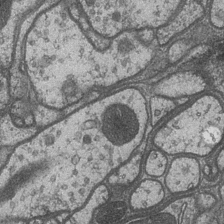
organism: Drosophila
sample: Optic medulla